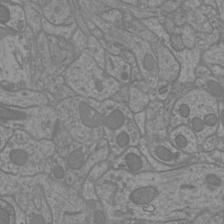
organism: Mouse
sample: Cortical neurons